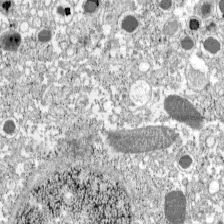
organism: C57BL Mouse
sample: Pancreatic islet